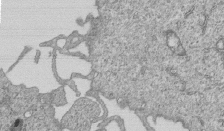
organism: Human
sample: MDA-MB-231 cells